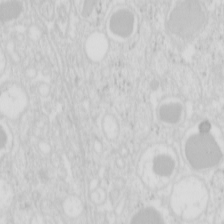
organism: Mouse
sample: Pancreas